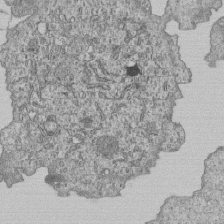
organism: Human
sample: MDA-MB-231 cells